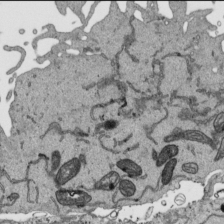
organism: Human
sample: Mitochondria in HCT116 cells